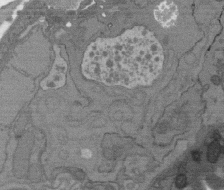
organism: C. elegans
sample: AFD neurons C. elegans